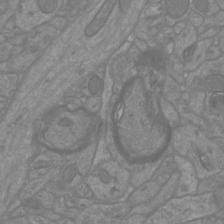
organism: Mouse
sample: Cortical neurons